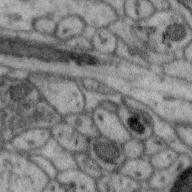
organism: Zebra finch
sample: Brain